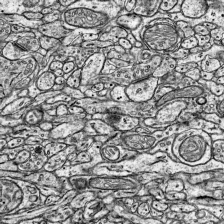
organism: Mouse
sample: Visual Cortex